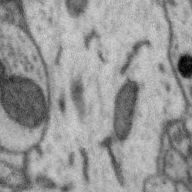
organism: Zebra finch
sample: Brain